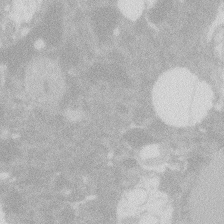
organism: Zebrafish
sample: Macrophage